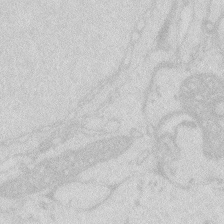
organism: Zebrafish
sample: Macrophage